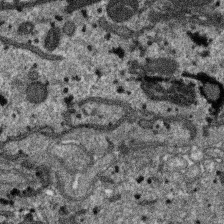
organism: Human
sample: Lung epithelial cells infected with SARS-CoV-2